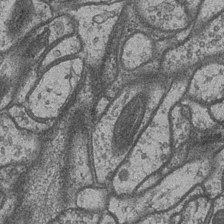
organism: Drosophila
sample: Optic medulla